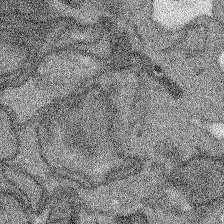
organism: Human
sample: HeLa cells